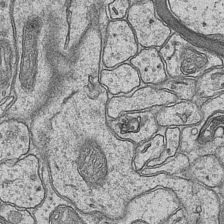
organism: Mouse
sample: CA1 Hippocampus